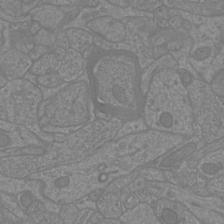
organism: Mouse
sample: Cortical neurons